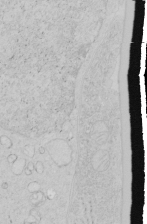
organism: Human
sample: Mitochondria in HCT116 cells